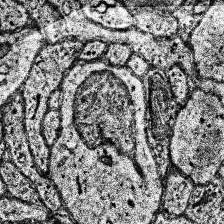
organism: Human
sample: Temporal Lobe